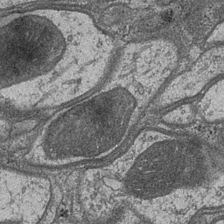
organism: Drosophila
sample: Optic medulla